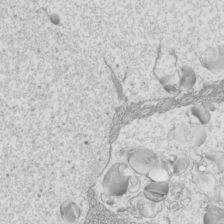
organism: Mouse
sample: Cilia; mouse epididymis